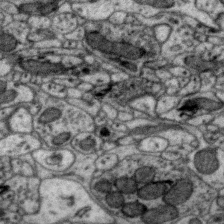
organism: Zebra finch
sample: Brain